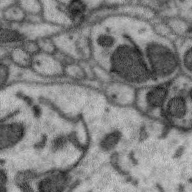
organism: Zebra finch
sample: Brain